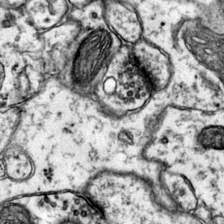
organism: Mouse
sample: Primary visual cortex